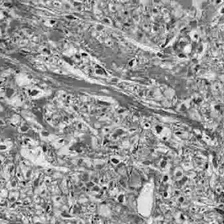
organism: Drosophila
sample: Optic lobe